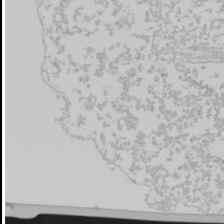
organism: Mouse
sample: Cancer cell death in ED-1 cells